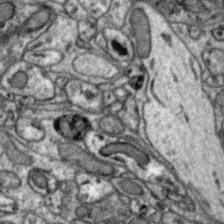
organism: Zebra finch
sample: Brain